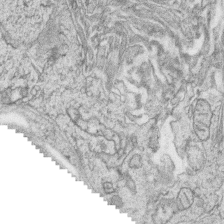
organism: Zebrafish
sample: synaptic ribbons in rod cells and cone cells